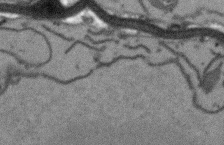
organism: Arabidopsis thaliana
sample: Root tip